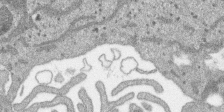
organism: Human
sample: Lung epithelial cells infected with SARS-CoV-2